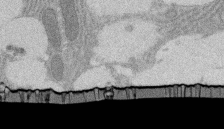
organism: Rat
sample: Salivary granule